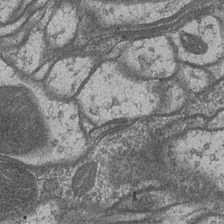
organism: Drosophila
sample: Optic medulla